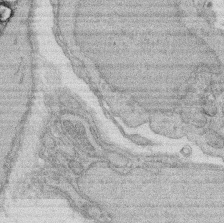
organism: Rat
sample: Salivary granule